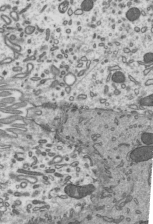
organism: Mouse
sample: Mouse epididymis efferent ductule cilia